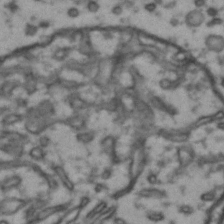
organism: Drosophila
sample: Brain